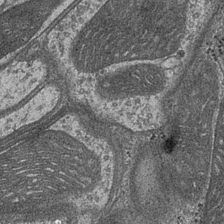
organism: Drosophila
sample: Optic medulla